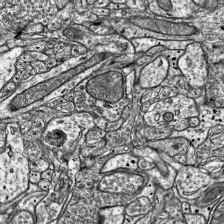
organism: Mouse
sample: Visual Cortex